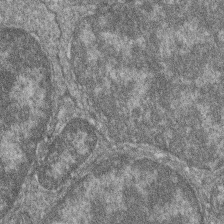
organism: Zebrafish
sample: Cilia; retinal pigment epithelium